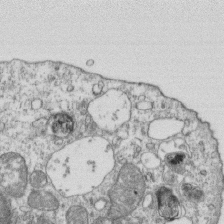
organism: Mouse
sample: Activated OT-1 CD8+ T cells